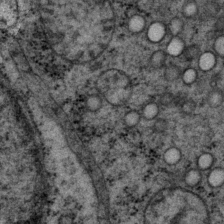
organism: P. pacificus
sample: Pharynx